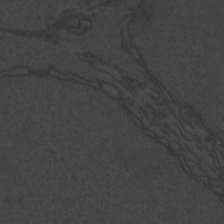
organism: Zebrafish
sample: Macrophage infected with Toxoplasma gondii